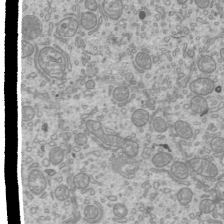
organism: Mouse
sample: Cilia; mouse epididymis